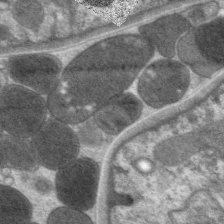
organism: C. elegans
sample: Pharynx